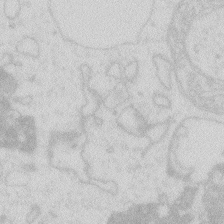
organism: Zebrafish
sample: Macrophage